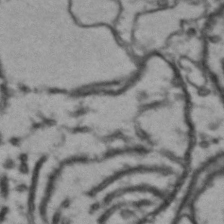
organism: Drosophila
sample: Brain